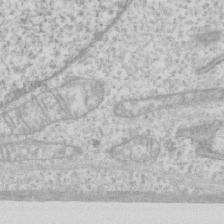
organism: Human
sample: Fibroblast cells